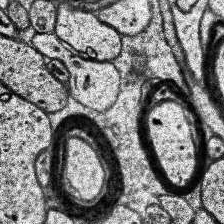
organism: Human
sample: Temporal Lobe